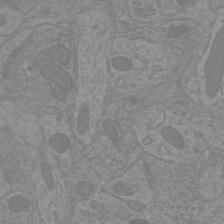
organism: Mouse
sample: Cortical neurons